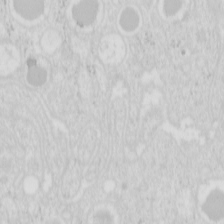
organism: Mouse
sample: Pancreas